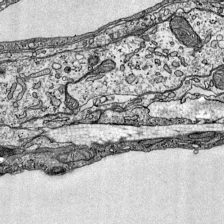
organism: Mouse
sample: Visual Cortex